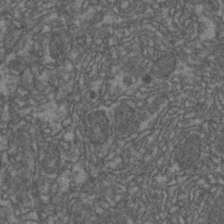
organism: Zebrafish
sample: Zebrafish embryo